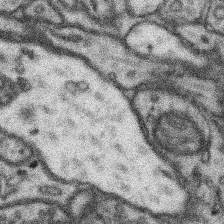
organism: Mouse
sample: Somatosensory cortex neuropil